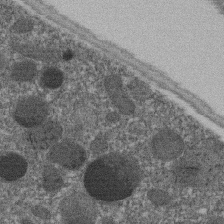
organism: C. elegans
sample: C. elegans embryo early stage